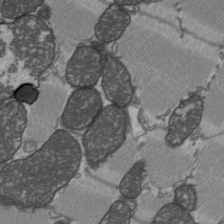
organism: C57BL Mouse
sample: Heart